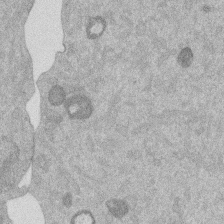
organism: Mouse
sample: Dividing mouse embryo 1 cell stage